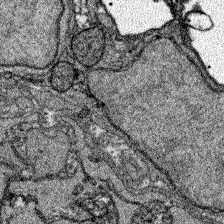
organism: Zebrafish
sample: Larval olfactory bulb